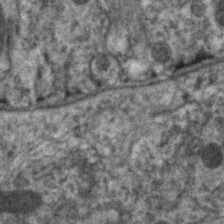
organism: C. elegans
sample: Pharynx